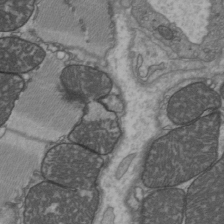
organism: C57BL Mouse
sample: Heart